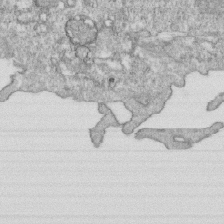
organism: Mouse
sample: Activated OT-1 CD8+ T cells